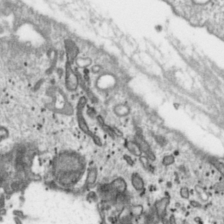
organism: Toxoplasma gondii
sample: Parasites in a vacuole inside a host cell